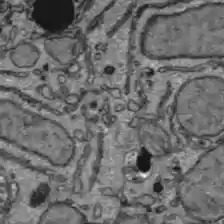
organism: C57BL Mouse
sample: Liver